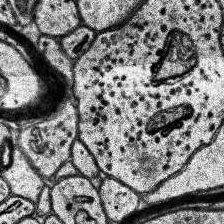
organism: Human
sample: Temporal Lobe